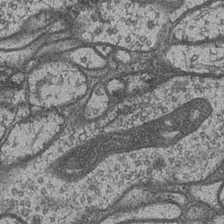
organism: Drosophila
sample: Optic medulla